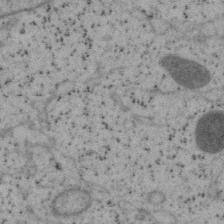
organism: Human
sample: HeLa cells